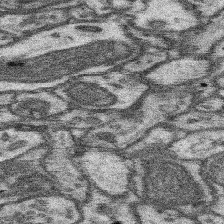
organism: Mouse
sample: Somatosensory cortex neuropil